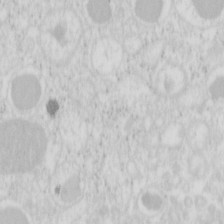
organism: Mouse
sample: Pancreas